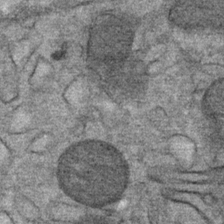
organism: Mouse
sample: Mouse Salivary gland